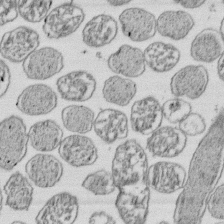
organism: E. coli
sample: Bacterial nucleoid